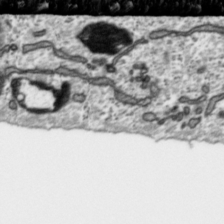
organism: Toxoplasma gondii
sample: Parasites in a vacuole inside a host cell